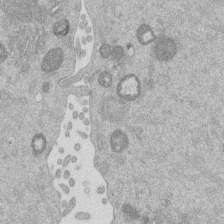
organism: Mouse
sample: Dividing mouse embryo 1 cell stage